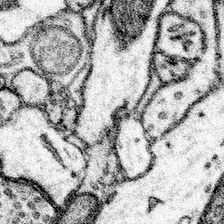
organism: Mouse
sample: Somatosensory cortex neuropil